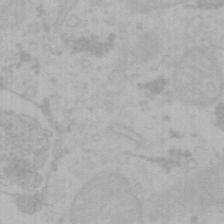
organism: Mouse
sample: Choroid plexus